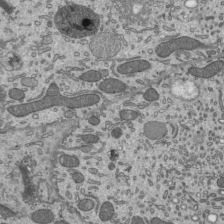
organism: Mouse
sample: Mouse epididymis efferent ductule cilia